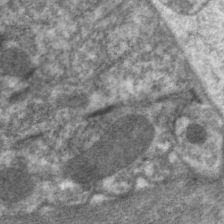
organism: C. elegans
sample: Pharynx